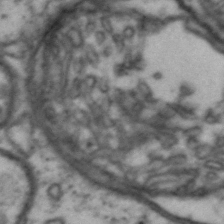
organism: Drosophila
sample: Brain